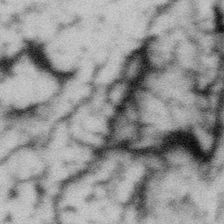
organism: Gemmata obscuriglobus